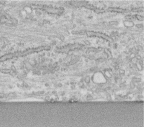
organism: Human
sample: Centriole in fibroblast cells